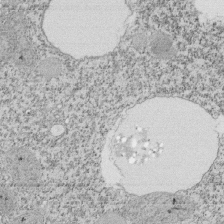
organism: Tetrahymena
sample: Cilia in tetrahymena